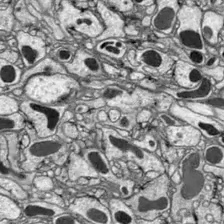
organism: Drosophila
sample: Optic lobe